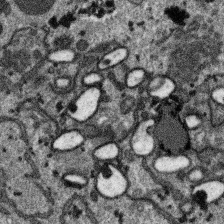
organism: Human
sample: Lung epithelial cells infected with SARS-CoV-2